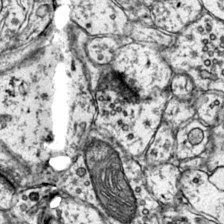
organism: Mouse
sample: Primary visual cortex